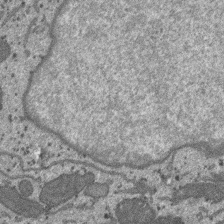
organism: Human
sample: Lung epithelial cells infected with SARS-CoV-2